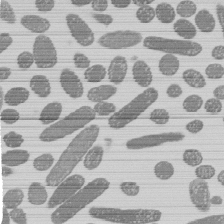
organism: E. coli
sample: Bacterial nucleoid